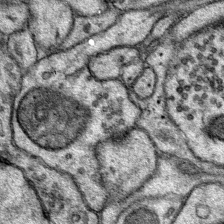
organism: Mouse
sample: Primary visual cortex